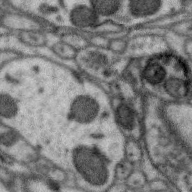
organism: Zebra finch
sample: Brain